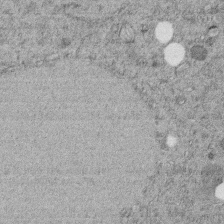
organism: C. elegans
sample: C. elegans embryo early stage